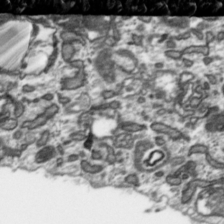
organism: Toxoplasma gondii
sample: Parasites in a vacuole inside a host cell